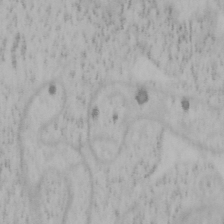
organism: Mouse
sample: OT-I killer T cells with ID8 ovarian cancer cells